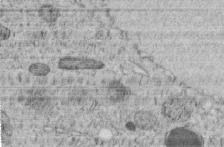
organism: C. elegans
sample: C. elegans embryo early stage